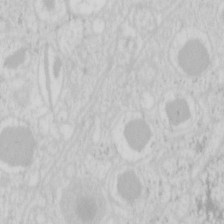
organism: Mouse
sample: Pancreas